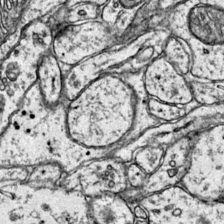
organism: Mouse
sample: Primary visual cortex